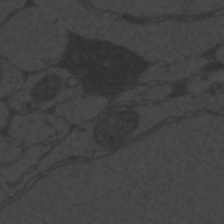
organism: Zebrafish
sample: Macrophage infected with Toxoplasma gondii